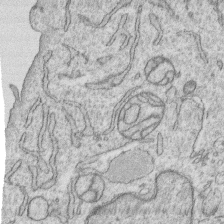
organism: Human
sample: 1205lu cells